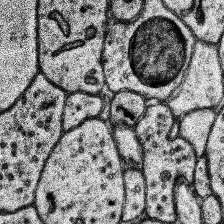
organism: Human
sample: Temporal Lobe